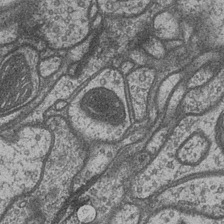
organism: Drosophila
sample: Optic medulla